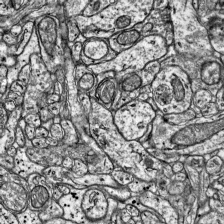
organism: Mouse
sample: Visual Cortex